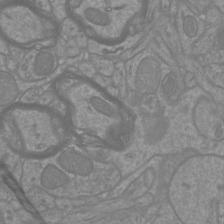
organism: Mouse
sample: Cortical neurons